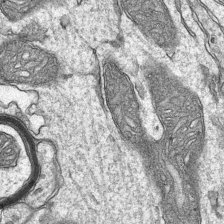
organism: Mouse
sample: CA1 Hippocampus